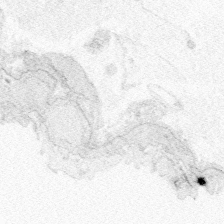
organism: Zebrafish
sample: Whole-Brain